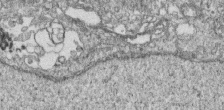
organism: Human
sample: HeLa cell HIV synapse